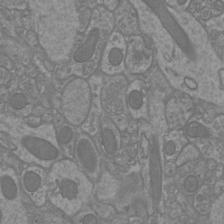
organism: Mouse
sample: Cortical neurons